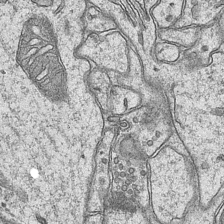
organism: Mouse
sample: CA1 Hippocampus